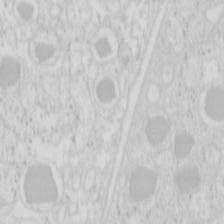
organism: Mouse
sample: Pancreas